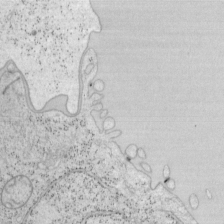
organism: Mouse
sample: OT-I killer T cells with ID8 ovarian cancer cells